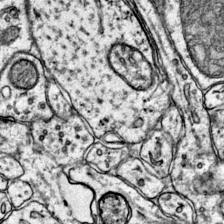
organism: Mouse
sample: Primary visual cortex